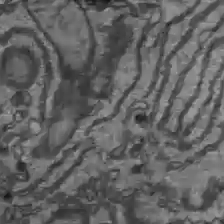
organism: C57BL Mouse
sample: Liver